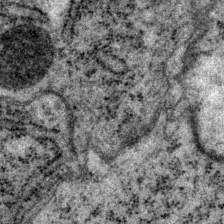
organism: P. pacificus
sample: Pharynx